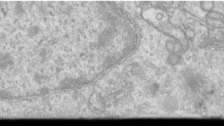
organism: Human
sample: Centriole in RPE cells